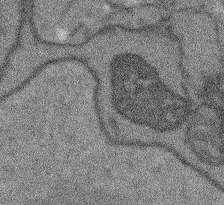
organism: Arabidopsis thaliana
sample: Root tip